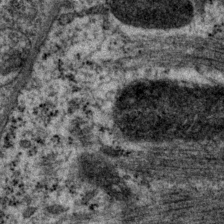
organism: P. pacificus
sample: Pharynx